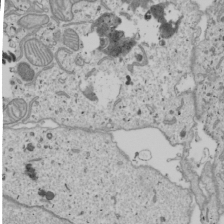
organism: Human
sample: Mitochondria in U2OS cells